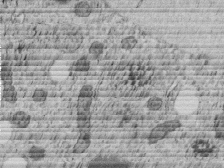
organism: C. elegans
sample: C. elegans embryo early stage